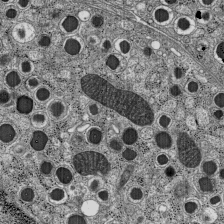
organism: C57BL Mouse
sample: Pancreatic islet